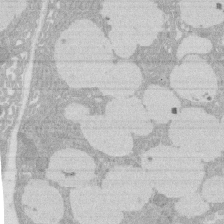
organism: Rat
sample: Salivary granule